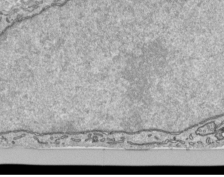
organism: Human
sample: Mitochondria in HCT116 cells